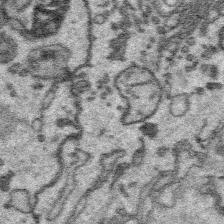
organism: Platynereis dumerilii